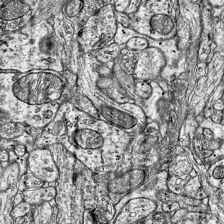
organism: Mouse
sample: Visual Cortex